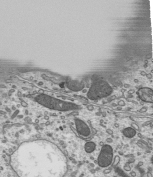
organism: Mouse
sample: Mouse epididymis efferent ductule cilia